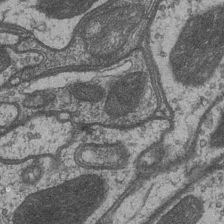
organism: Drosophila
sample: Optic medulla